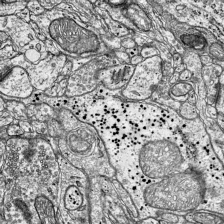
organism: Mouse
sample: Visual Cortex